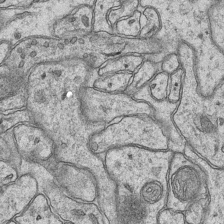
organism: Mouse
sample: CA1 Hippocampus